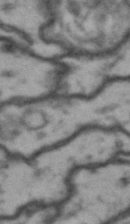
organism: Drosophila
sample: Brain